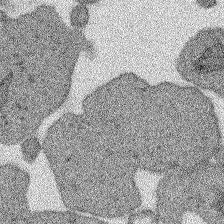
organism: Human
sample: HeLa cells